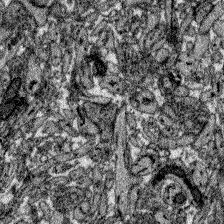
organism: Zebrafish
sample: Larval olfactory bulb